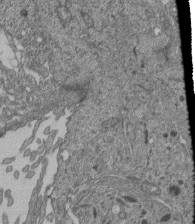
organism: Human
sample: Retinal organoid Rod and Cone cells